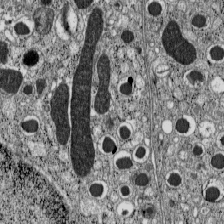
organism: C57BL Mouse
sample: Pancreatic islet